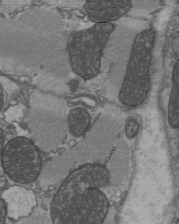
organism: C57BL Mouse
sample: Heart